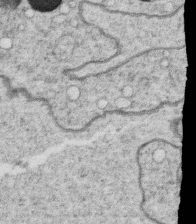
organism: C. elegans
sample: C. elegans oocyte; sperm cells